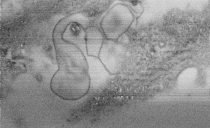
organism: Human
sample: Centriole in fibroblast cells